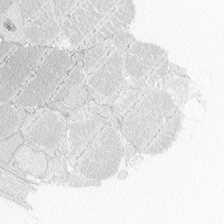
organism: Zebrafish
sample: Whole-Brain